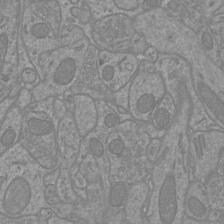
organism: Mouse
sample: Cortical neurons